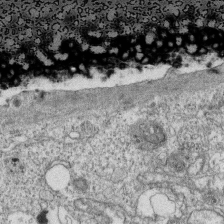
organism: Human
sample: HeLa cell HIV synapse